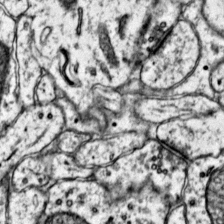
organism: Mouse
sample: Primary visual cortex